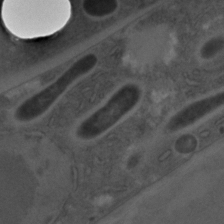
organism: C. elegans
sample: C. elegans embryo